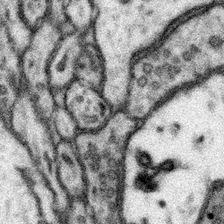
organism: Mouse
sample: Somatosensory cortex neuropil